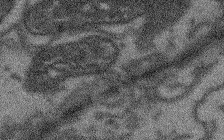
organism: Arabidopsis thaliana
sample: Root tip